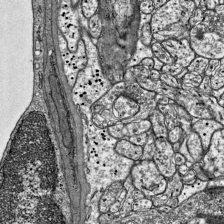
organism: Mouse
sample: Visual Cortex